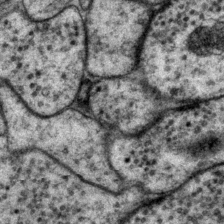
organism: P. pacificus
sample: Pharynx